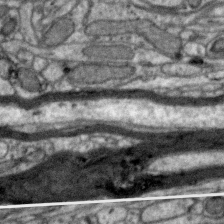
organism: Zebra finch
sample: Brain